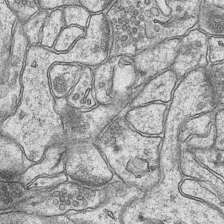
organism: Mouse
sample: CA1 Hippocampus